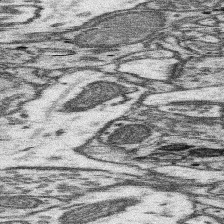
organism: Mouse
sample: Somatosensory cortex neuropil